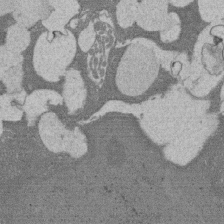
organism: Rat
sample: Salivary granule